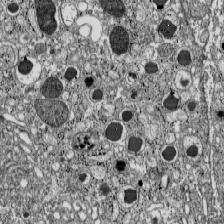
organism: C57BL Mouse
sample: Pancreatic islet